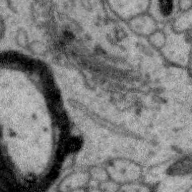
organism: Zebra finch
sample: Brain